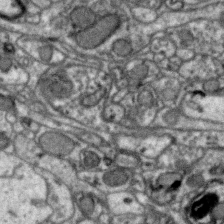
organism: Zebra finch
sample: Brain